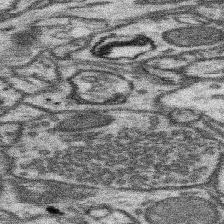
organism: Mouse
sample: Somatosensory cortex neuropil